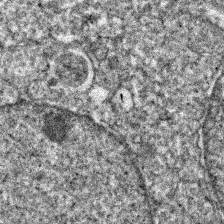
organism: Zebrafish